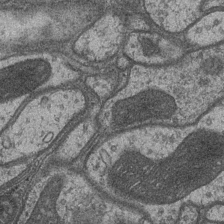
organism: Drosophila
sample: Optic medulla